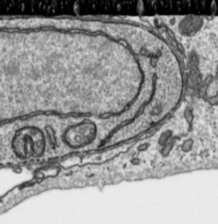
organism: Toxoplasma gondii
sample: Parasites in a vacuole inside a host cell